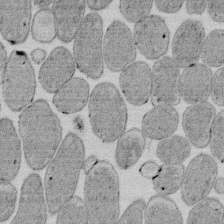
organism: E. coli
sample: Bacterial nucleoid